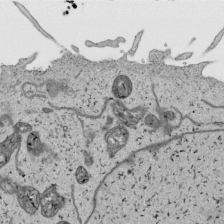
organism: Human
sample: Mitochondria in HCT116 cells